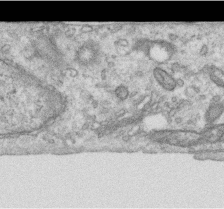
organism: Human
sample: Centriole in RPE cells